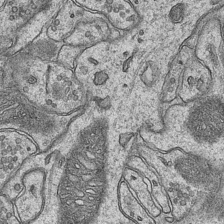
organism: Mouse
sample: CA1 Hippocampus